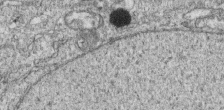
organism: Human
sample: HeLa cell HIV synapse